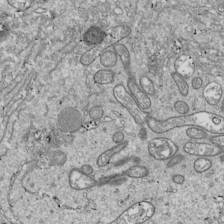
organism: Drosophila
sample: Cell division; meiosis; drosophila spermatocytes